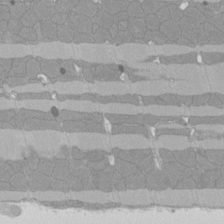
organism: Rat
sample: Left ventricle